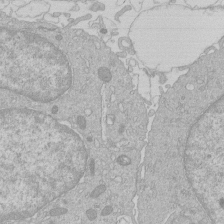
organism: Human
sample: Macrophage cells